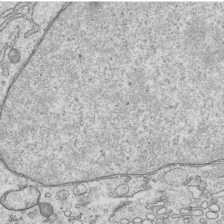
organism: Human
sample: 1205lu cells